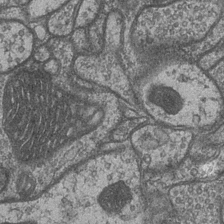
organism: Drosophila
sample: Optic medulla